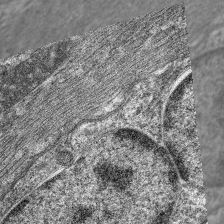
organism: C. elegans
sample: Pharynx